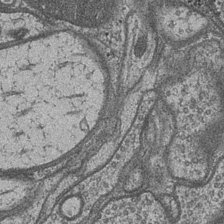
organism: Drosophila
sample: Optic medulla